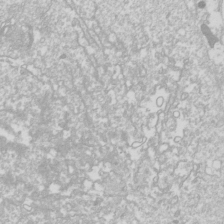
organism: Drosophila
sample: Cell division; meiosis; drosophila spermatocytes